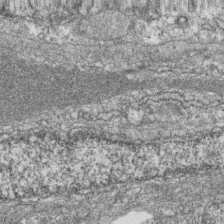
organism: Zebrafish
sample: Cilia; retinal pigment epithelium